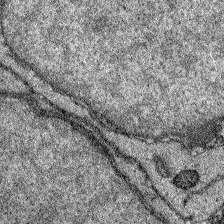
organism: Zebrafish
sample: Larval olfactory bulb